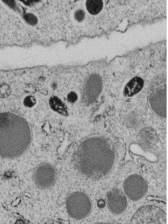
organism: C. elegans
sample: C. elegans embryo early stage